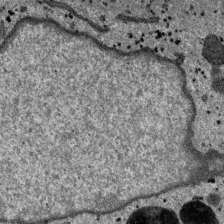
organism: Human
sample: Lung epithelial cells, uninfected (mock) control